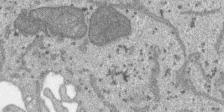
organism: Human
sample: Lung epithelial cells infected with SARS-CoV-2